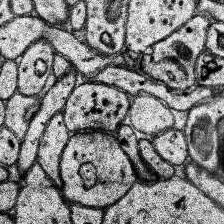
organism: Human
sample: Temporal Lobe